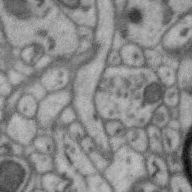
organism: Zebra finch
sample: Brain